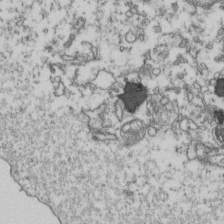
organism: Human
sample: Activated Jurkat CD4+ T cells